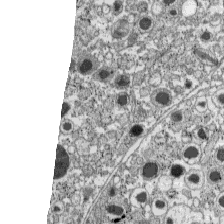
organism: C57BL Mouse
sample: Pancreatic islet